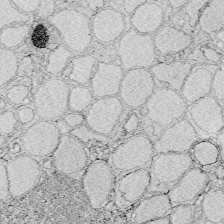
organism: Zebrafish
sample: Whole-Brain